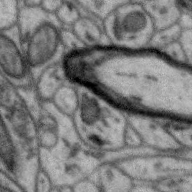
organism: Zebra finch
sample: Brain